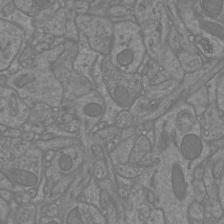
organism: Mouse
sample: Cortical neurons